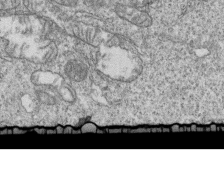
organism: Human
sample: HeLa cell HIV synapse